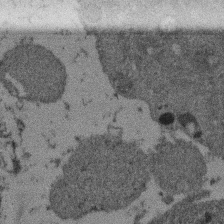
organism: Mouse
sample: Dividing mouse embryo 1 cell stage